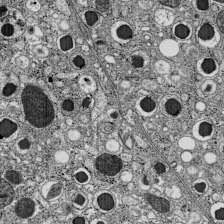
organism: C57BL Mouse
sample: Pancreatic islet